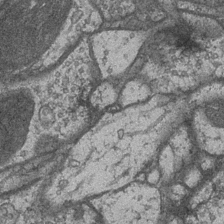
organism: Drosophila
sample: Optic medulla